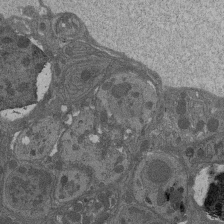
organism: Drosophila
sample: Antenna